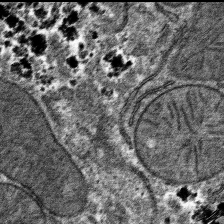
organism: Mouse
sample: Mouse hepatocytes